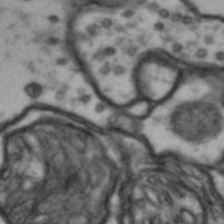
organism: Drosophila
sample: Brain